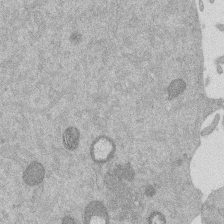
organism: Mouse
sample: Dividing mouse embryo 1 cell stage